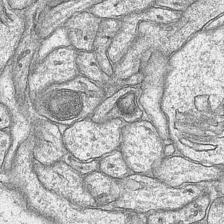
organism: Mouse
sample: CA1 Hippocampus